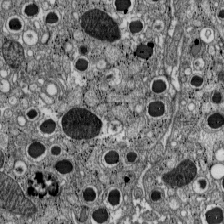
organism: C57BL Mouse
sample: Pancreatic islet